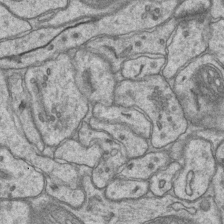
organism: Mouse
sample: CA1 Hippocampus